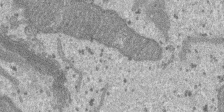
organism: Human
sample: Lung epithelial cells infected with SARS-CoV-2